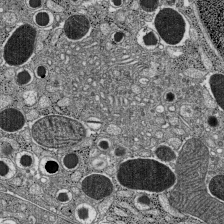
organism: C57BL Mouse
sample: Pancreatic islet